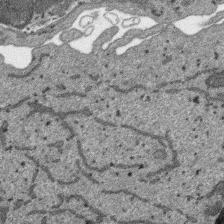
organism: Human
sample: Lung epithelial cells infected with SARS-CoV-2